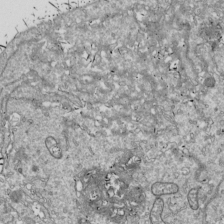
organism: Drosophila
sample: Cell division; meiosis; drosophila spermatocytes